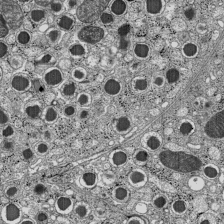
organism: C57BL Mouse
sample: Pancreatic islet